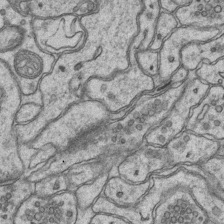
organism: Mouse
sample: CA1 Hippocampus